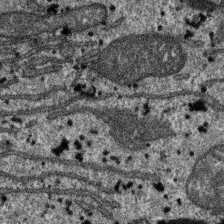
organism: Human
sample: Lung epithelial cells infected with SARS-CoV-2